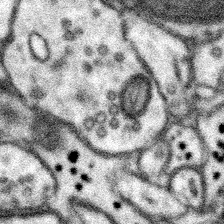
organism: Mouse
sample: Somatosensory cortex neuropil